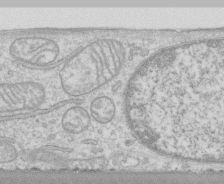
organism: Human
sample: CRL-1474